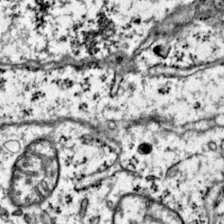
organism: Mouse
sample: Primary visual cortex